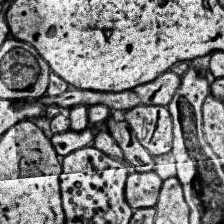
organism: Human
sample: Temporal Lobe